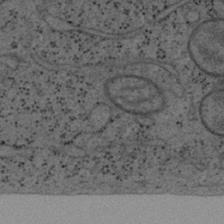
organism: Human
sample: HeLa cells